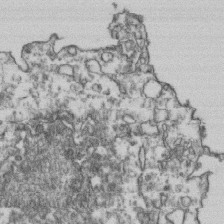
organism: Human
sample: Activated Jurkat CD4+ T cells